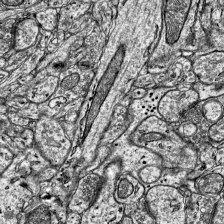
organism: Mouse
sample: Visual Cortex